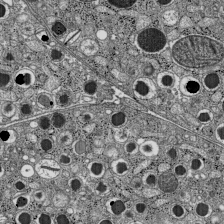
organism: C57BL Mouse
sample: Pancreatic islet